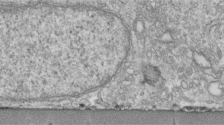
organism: Human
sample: Centriole in fibroblast cells